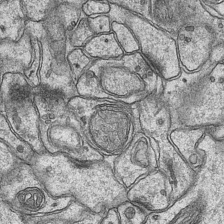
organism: Mouse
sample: CA1 Hippocampus